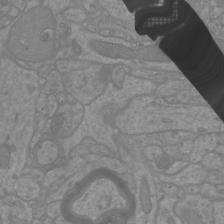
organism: Mouse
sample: Cortical neurons